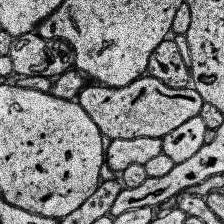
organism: Human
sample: Temporal Lobe